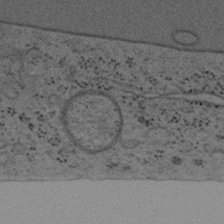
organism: Human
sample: HeLa cells